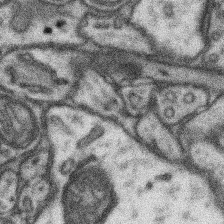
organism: Mouse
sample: Somatosensory cortex neuropil